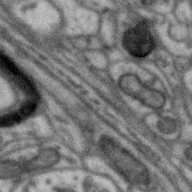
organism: Zebra finch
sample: Brain